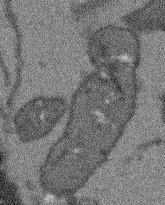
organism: Arabidopsis thaliana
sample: Root tip